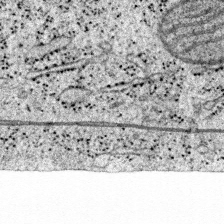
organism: Human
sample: HeLa cells